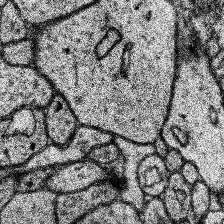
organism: Human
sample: Temporal Lobe